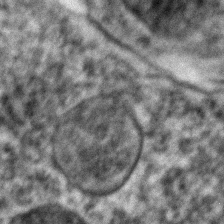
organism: Zebrafish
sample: Zebrafish embryo